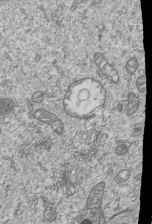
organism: Human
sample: MDA-MB-231 cells